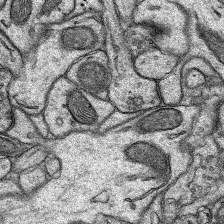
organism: Rat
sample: Hippocampus